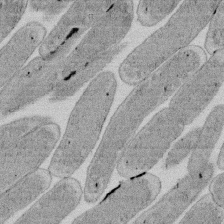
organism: E. coli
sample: Bacterial nucleoid